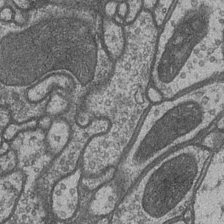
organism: Drosophila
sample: Optic medulla